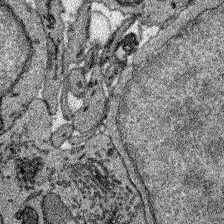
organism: Zebrafish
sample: Larval olfactory bulb